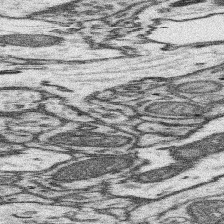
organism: Mouse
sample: Somatosensory cortex neuropil